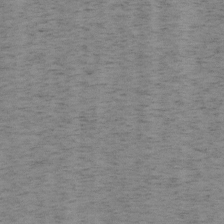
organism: Mouse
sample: OT-I killer T cells with ID8 ovarian cancer cells